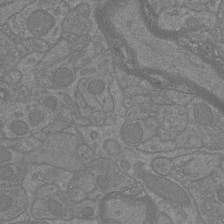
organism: Mouse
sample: Cortical neurons